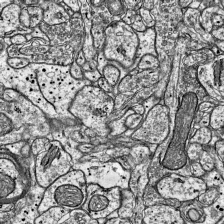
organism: Mouse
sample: Visual Cortex